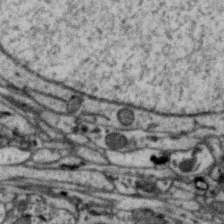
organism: Zebra finch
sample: Brain